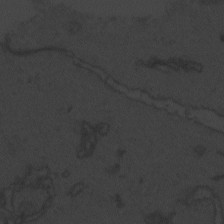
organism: Zebrafish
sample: Macrophage infected with Toxoplasma gondii